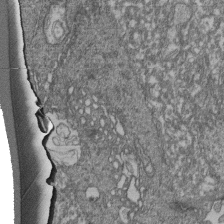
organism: Human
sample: Retinal organoid Rod and Cone cells